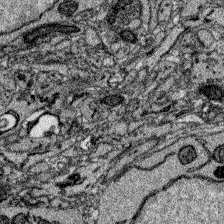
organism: Zebrafish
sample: Larval olfactory bulb